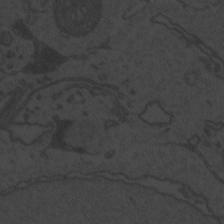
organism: Zebrafish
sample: Macrophage infected with Toxoplasma gondii